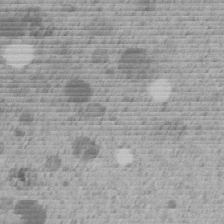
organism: C. elegans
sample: C. elegans embryo early stage